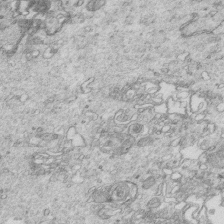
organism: Mouse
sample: Multiciliated cells